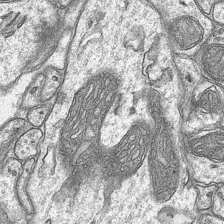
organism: Mouse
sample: CA1 Hippocampus